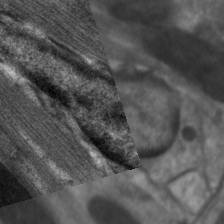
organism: C. elegans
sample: Pharynx